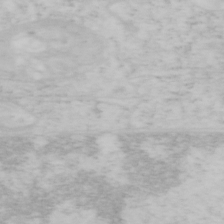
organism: Mouse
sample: OT-I killer T cells with ID8 ovarian cancer cells